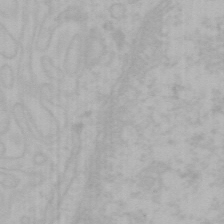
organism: Mouse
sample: Choroid plexus